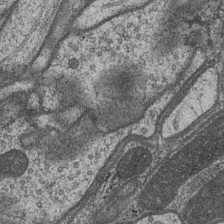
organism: Drosophila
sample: Optic medulla